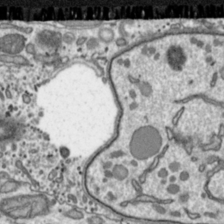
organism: Toxoplasma gondii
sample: Parasites in a vacuole inside a host cell